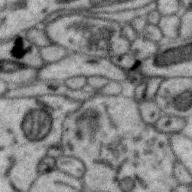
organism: Zebra finch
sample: Brain